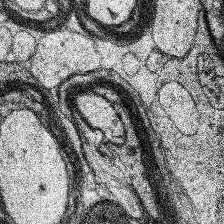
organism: Human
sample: Temporal Lobe